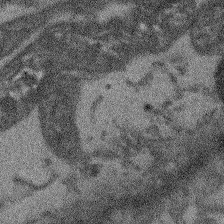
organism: Arabidopsis thaliana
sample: Root tip